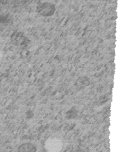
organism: C. elegans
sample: C. elegans embryo early stage